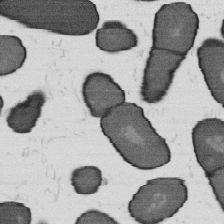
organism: B. subtilis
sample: Bacterial spore